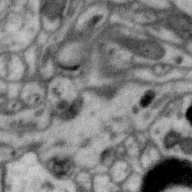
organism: Zebra finch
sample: Brain